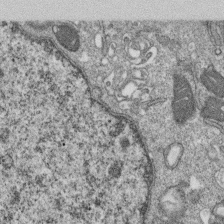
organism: African green monkey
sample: Vero E6 cells infected with SARS-CoV-2